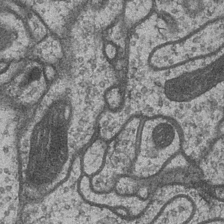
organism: Drosophila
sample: Optic medulla